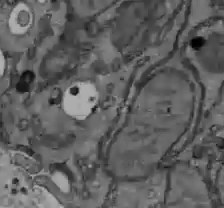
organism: C57BL Mouse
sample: Liver